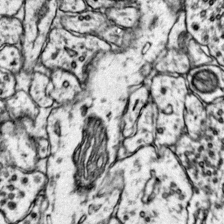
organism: Mouse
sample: Primary visual cortex